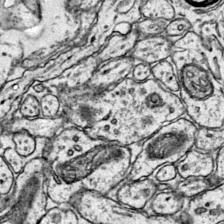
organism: Mouse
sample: Primary visual cortex